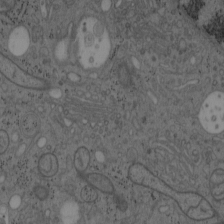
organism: Mouse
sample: OT-I killer T cells with ID8 ovarian cancer cells